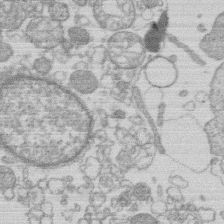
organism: Human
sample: Macrophage cells